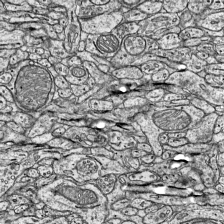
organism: Mouse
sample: Visual Cortex